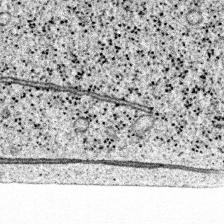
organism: Human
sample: HeLa cells